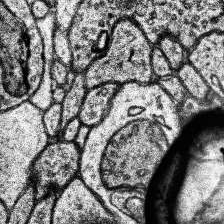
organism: Human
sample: Temporal Lobe